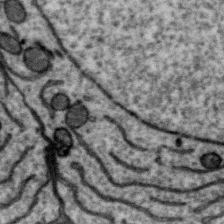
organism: Zebra finch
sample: Brain